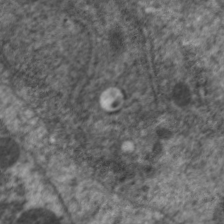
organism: C. elegans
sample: Pharynx